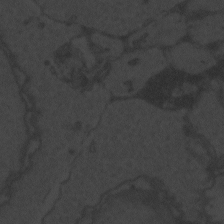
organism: Zebrafish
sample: Macrophage infected with Toxoplasma gondii